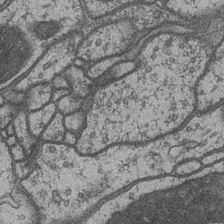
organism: Drosophila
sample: Optic medulla